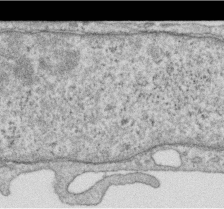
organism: Human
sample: Centriole in RPE cells